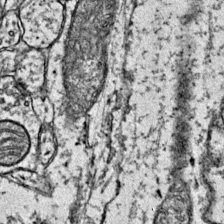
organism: Mouse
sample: Primary visual cortex